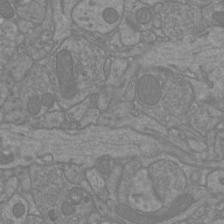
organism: Mouse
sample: Cortical neurons